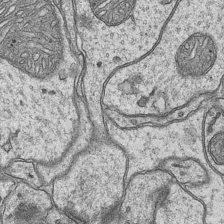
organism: Mouse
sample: CA1 Hippocampus